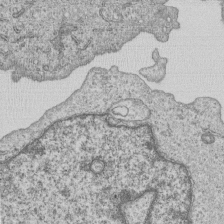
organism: Human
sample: MDA-MB-231 cells